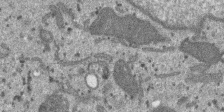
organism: Human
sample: Lung epithelial cells infected with SARS-CoV-2